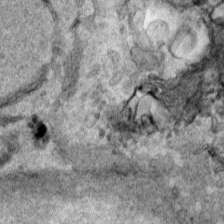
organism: Human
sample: Mitochondria in HCT116 cells